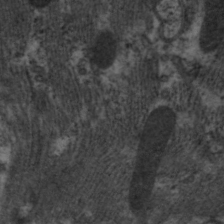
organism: C. elegans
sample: Pharynx